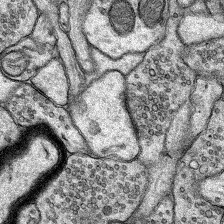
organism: Rat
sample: Hippocampus